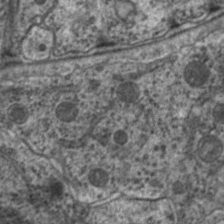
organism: C. elegans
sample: Pharynx